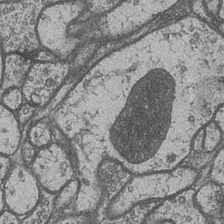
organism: Drosophila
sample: Optic medulla